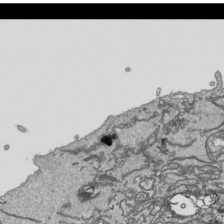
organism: Human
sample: Mitochondria in HCT116 cells